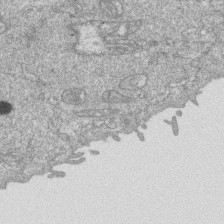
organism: Human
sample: HeLa cell HIV synapse